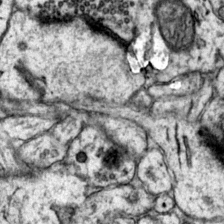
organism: Mouse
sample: Primary visual cortex